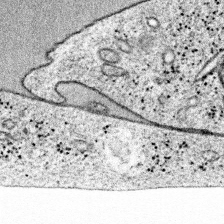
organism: Human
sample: HeLa cells